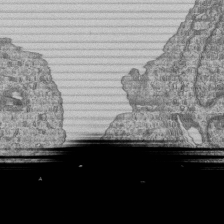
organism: Human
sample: MDA-MB-231 cells